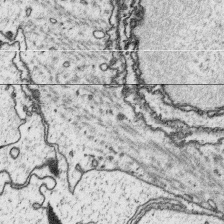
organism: Platynereis dumerilii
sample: Parapodia